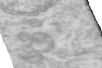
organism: Human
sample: Centriole in RPE cells